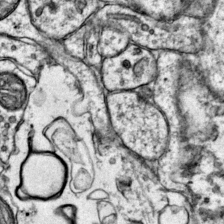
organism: Mouse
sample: Primary visual cortex